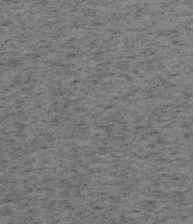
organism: Mouse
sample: OT-I killer T cells with ID8 ovarian cancer cells